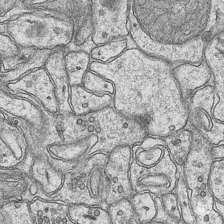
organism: Mouse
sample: CA1 Hippocampus